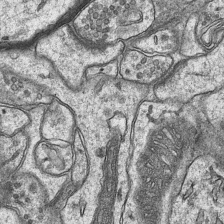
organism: Mouse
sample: CA1 Hippocampus